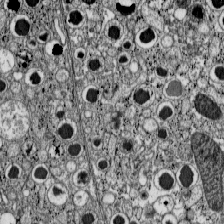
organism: C57BL Mouse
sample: Pancreatic islet